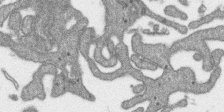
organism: Human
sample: Lung epithelial cells infected with SARS-CoV-2